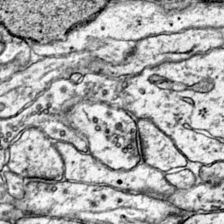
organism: Mouse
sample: Primary visual cortex